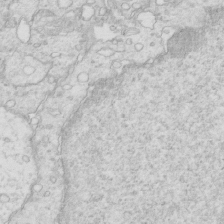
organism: Mouse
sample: Multiciliated cells